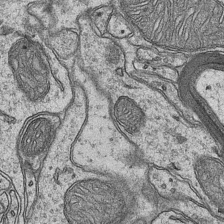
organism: Mouse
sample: CA1 Hippocampus